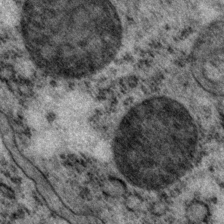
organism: P. pacificus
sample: Pharynx